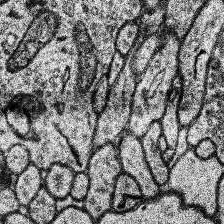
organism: Human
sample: Temporal Lobe